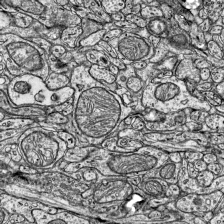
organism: Mouse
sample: Visual Cortex